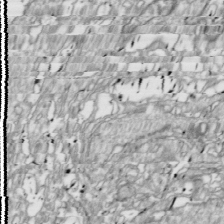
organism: Drosophila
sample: Cell division; meiosis; drosophila spermatocytes